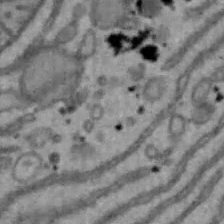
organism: Mouse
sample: Liver